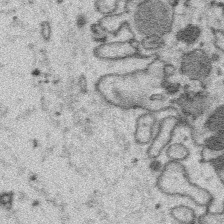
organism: Platynereis dumerilii